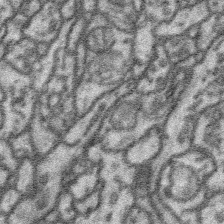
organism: Platynereis dumerilii